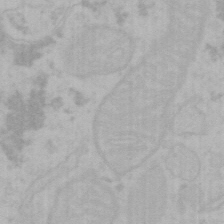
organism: Mouse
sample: Choroid plexus